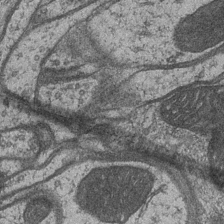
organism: Drosophila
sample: Optic medulla